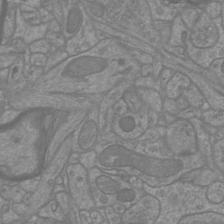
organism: Mouse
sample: Cortical neurons